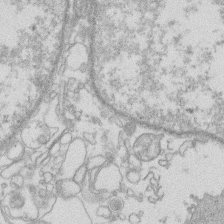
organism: Human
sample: Macrophage cells